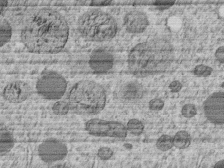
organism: C. elegans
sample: C. elegans embryo early stage